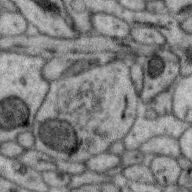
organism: Zebra finch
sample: Brain